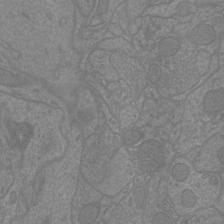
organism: Mouse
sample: Cortical neurons